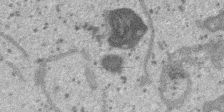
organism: Human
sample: Lung epithelial cells infected with SARS-CoV-2